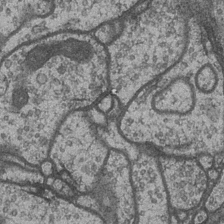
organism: Drosophila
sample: Optic medulla